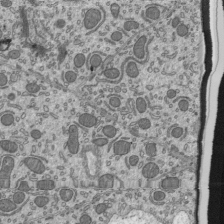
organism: Mouse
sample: Mouse epididymis efferent ductule cilia